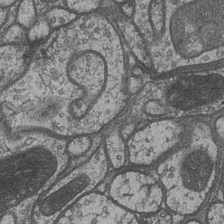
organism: Drosophila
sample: Optic medulla